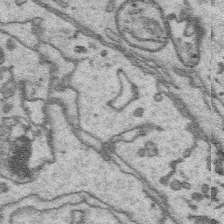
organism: Platynereis dumerilii